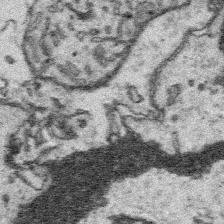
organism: Platynereis dumerilii